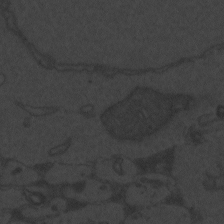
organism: Zebrafish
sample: Macrophage infected with Toxoplasma gondii